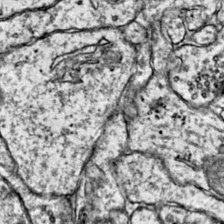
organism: Mouse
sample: Primary visual cortex